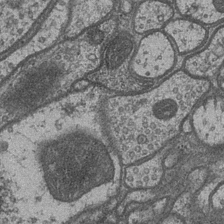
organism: Drosophila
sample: Optic medulla